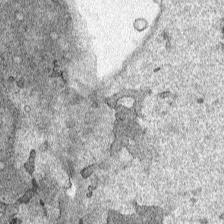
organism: Human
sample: Mitochondria in HCT116 cells